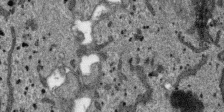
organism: Human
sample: Lung epithelial cells, uninfected (mock) control